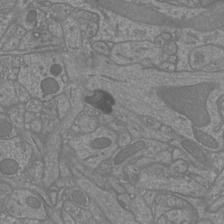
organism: Mouse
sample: Cortical neurons